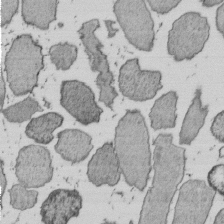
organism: E. coli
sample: Bacterial nucleoid